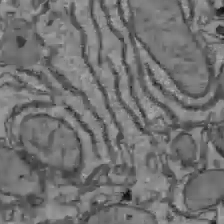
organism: C57BL Mouse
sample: Liver